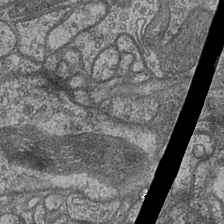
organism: Drosophila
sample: Optic medulla